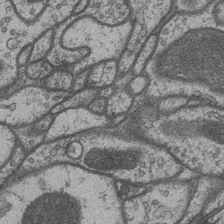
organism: Drosophila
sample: Optic medulla